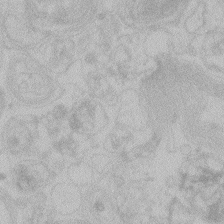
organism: Zebrafish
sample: Macrophage infected with Toxoplasma gondii